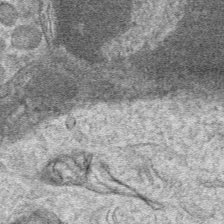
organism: Mouse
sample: Mouse hepatocytes